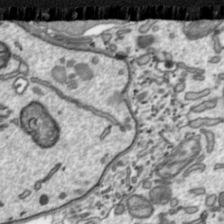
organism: Toxoplasma gondii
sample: Parasites in a vacuole inside a host cell